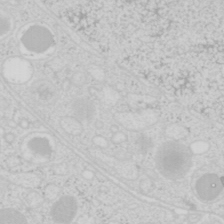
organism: Mouse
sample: Pancreas